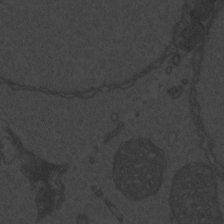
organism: Zebrafish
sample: Macrophage infected with Toxoplasma gondii